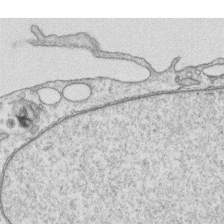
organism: Human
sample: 1205lu cells